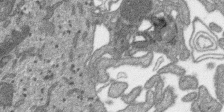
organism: Human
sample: Lung epithelial cells infected with SARS-CoV-2